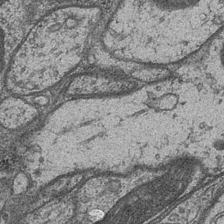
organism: Drosophila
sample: Optic medulla